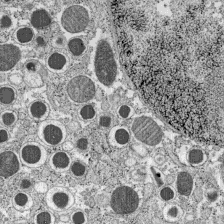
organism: C57BL Mouse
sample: Pancreatic islet